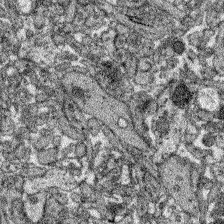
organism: Zebrafish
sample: Larval olfactory bulb